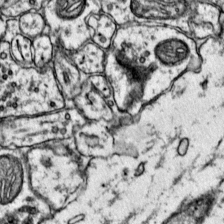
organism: Mouse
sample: Primary visual cortex